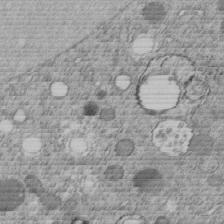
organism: C. elegans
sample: C. elegans embryo early stage